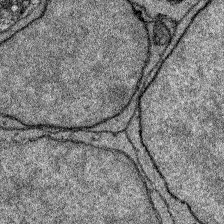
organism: Zebrafish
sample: Larval olfactory bulb